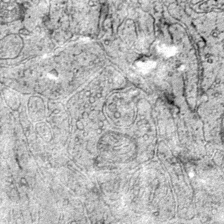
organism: Mouse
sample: Primary visual cortex